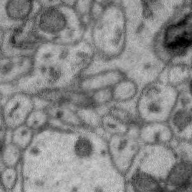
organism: Zebra finch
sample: Brain